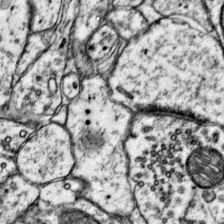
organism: Mouse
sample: Primary visual cortex